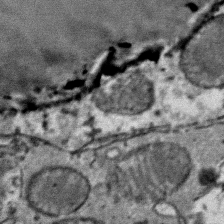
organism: Mouse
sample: Mouse Salivary gland